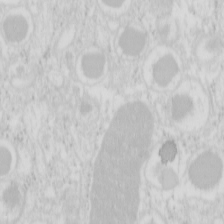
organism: Mouse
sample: Pancreas